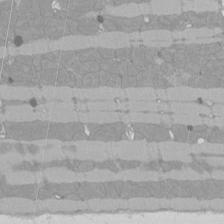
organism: Rat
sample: Left ventricle